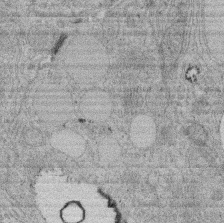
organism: Rat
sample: Salivary granule